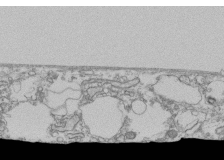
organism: Human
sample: Fibroblast cells